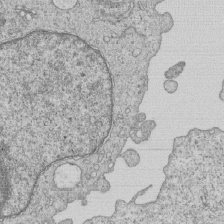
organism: Human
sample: MDA-MB-231 cells